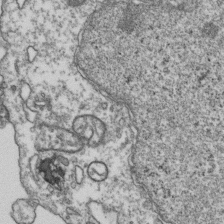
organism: Human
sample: Activated Jurkat CD4+ T cells